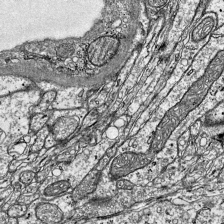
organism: Mouse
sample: Visual Cortex